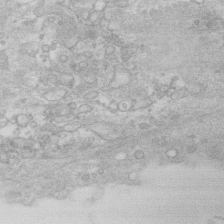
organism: Human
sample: Fibroblast cells